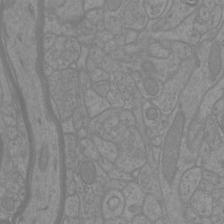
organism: Mouse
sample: Cortical neurons